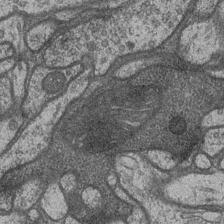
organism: Drosophila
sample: Optic medulla